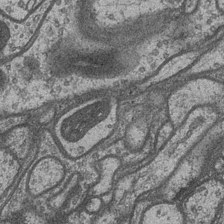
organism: Drosophila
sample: Optic medulla